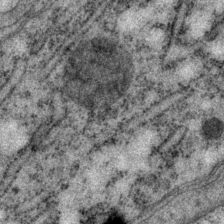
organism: P. pacificus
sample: Pharynx